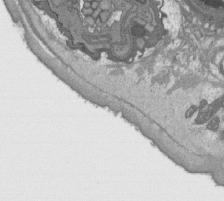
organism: C. elegans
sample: AFD neurons C. elegans